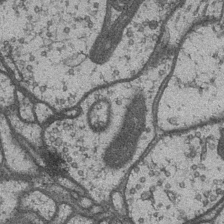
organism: Drosophila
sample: Optic medulla